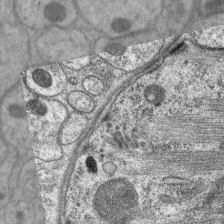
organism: C. elegans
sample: Pharynx